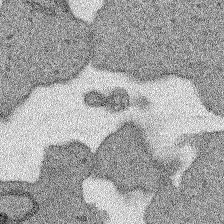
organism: Human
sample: HeLa cells